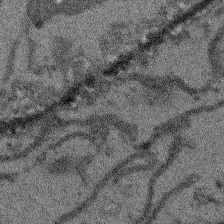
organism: Arabidopsis thaliana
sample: Root tip